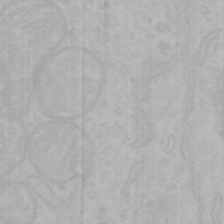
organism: Mouse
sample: Choroid plexus